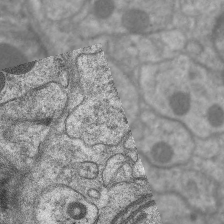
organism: C. elegans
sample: Pharynx